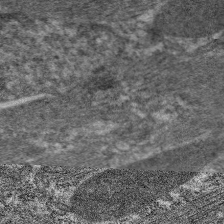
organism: C. elegans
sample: Pharynx